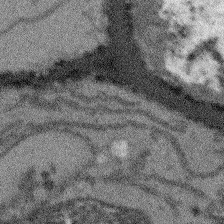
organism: Arabidopsis thaliana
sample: Root tip